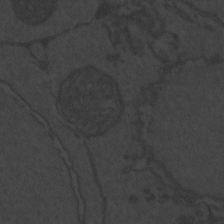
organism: Zebrafish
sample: Macrophage infected with Toxoplasma gondii